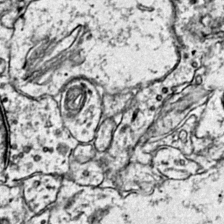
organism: Mouse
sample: Primary visual cortex